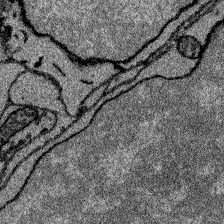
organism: Zebrafish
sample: Larval olfactory bulb